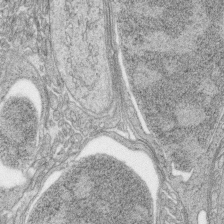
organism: Zebrafish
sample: synaptic ribbons in rod cells and cone cells